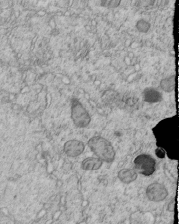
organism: C. elegans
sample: C. elegans embryo early stage